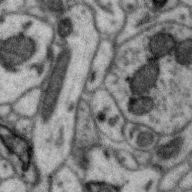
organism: Zebra finch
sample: Brain